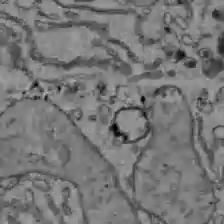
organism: C57BL Mouse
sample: Liver